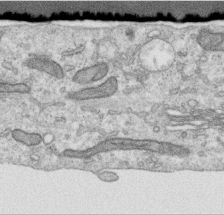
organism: Human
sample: Centriole in RPE cells